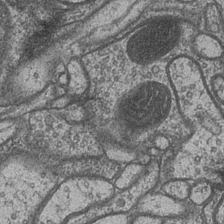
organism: Drosophila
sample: Optic medulla